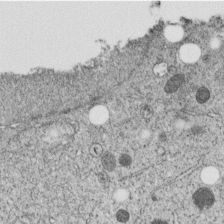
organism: C. elegans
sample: C. elegans embryo early stage